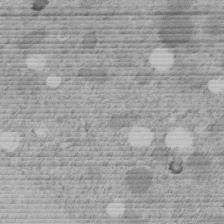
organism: C. elegans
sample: C. elegans embryo early stage